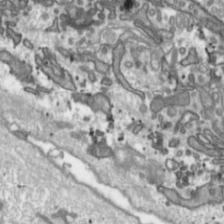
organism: Toxoplasma gondii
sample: Parasites in a vacuole inside a host cell